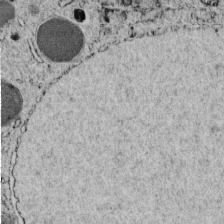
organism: C. elegans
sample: C. elegans embryo early stage